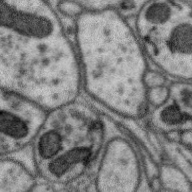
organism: Zebra finch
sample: Brain